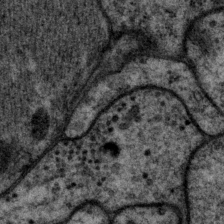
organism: P. pacificus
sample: Pharynx